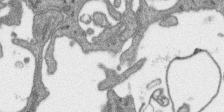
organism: Human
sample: Lung epithelial cells infected with SARS-CoV-2